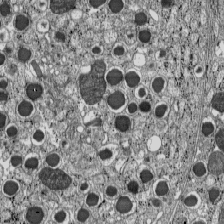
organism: C57BL Mouse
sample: Pancreatic islet